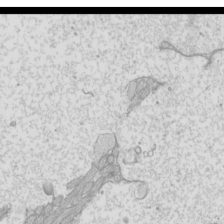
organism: Mouse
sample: Cilia; mouse epididymis